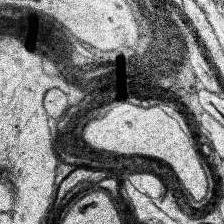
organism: Human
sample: Temporal Lobe